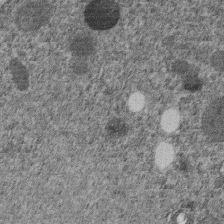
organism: C. elegans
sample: C. elegans embryo early stage